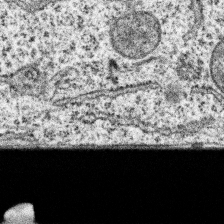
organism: Human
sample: HeLa cells